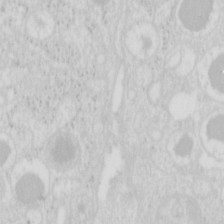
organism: Mouse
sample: Pancreas